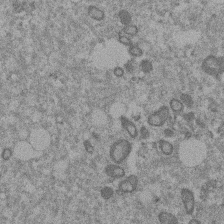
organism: Mouse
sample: Dividing mouse embryo 1 cell stage